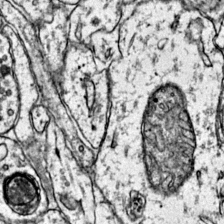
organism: Mouse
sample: Primary visual cortex